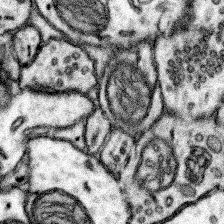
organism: Mouse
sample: Somatosensory cortex neuropil